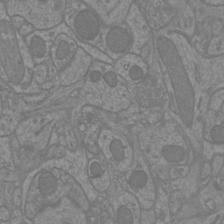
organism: Mouse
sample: Cortical neurons